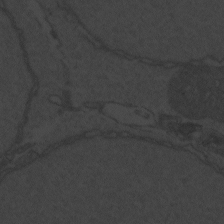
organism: Zebrafish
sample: Macrophage infected with Toxoplasma gondii